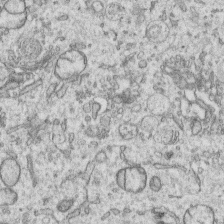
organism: Human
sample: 1205lu cells